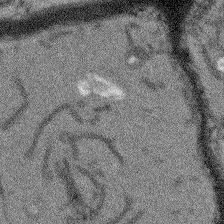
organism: Arabidopsis thaliana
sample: Root tip